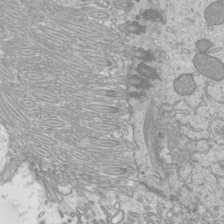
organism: Mouse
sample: Cilia; mouse epididymis